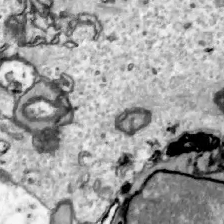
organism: Zebrafish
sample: Actinotrichia fibers